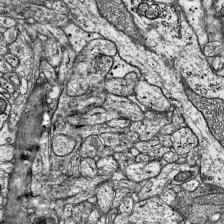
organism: Mouse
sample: Visual Cortex